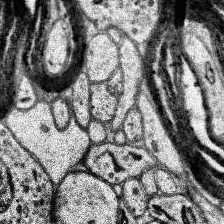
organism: Human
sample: Temporal Lobe